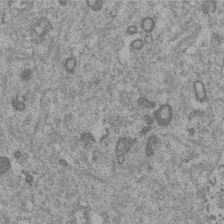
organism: Mouse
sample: Dividing mouse embryo 1 cell stage